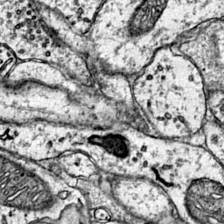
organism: Mouse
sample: Primary visual cortex